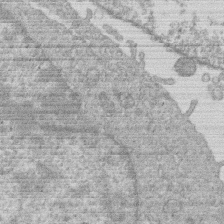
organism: Human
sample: Macrophage cells